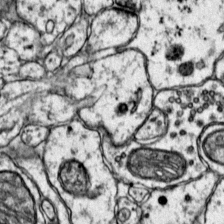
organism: Mouse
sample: Primary visual cortex